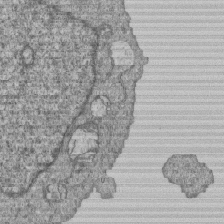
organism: Human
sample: MDA-MB-231 cells